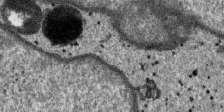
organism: Human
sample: Lung epithelial cells, uninfected (mock) control